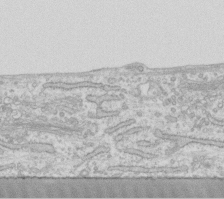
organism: Human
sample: Fibroblast cells